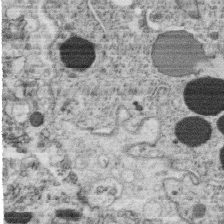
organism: C. elegans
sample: C. elegans oocyte; sperm cells